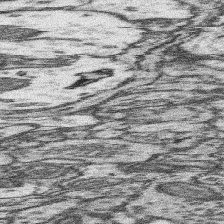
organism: Mouse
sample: Somatosensory cortex neuropil